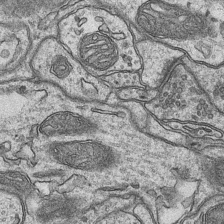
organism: Mouse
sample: CA1 Hippocampus